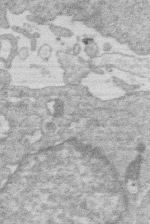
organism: Human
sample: Macrophage cells